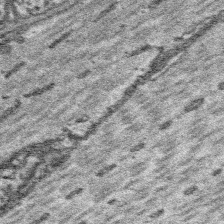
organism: Platynereis dumerilii